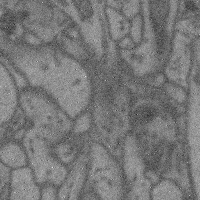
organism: Mouse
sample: Cerebral cortex